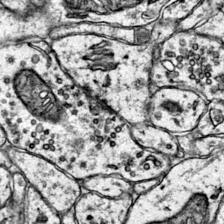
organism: Mouse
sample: Primary visual cortex